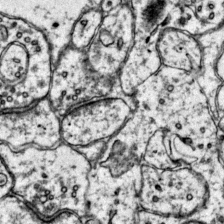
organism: Mouse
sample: Primary visual cortex